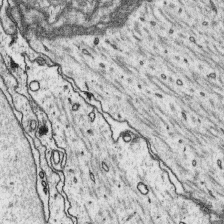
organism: Platynereis dumerilii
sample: Parapodia